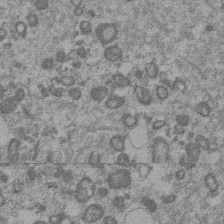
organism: Mouse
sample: Dividing mouse embryo 1 cell stage